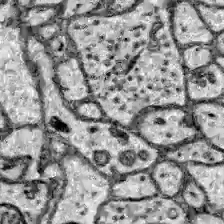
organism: Zebrafish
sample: Brain